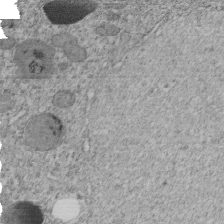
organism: C. elegans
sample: C. elegans embryo early stage